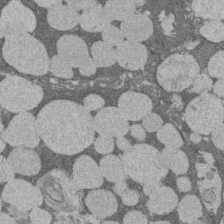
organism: Rat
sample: Salivary granule